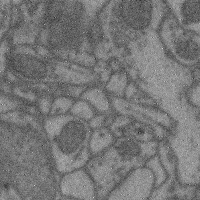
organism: Mouse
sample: Cerebral cortex